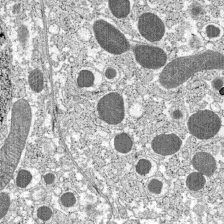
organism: C57BL Mouse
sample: Pancreatic islet